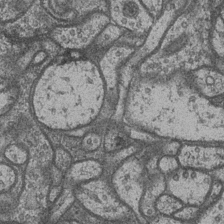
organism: Drosophila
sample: Optic medulla